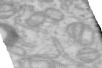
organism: Human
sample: Centriole in RPE cells